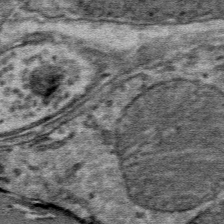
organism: Mouse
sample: Mouse Salivary gland